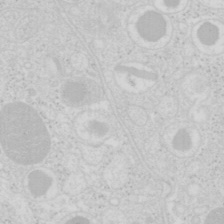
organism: Mouse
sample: Pancreas